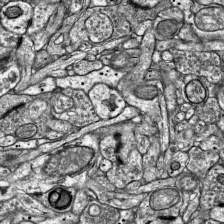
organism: Mouse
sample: Visual Cortex